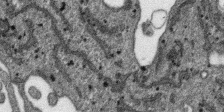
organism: Human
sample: Lung epithelial cells infected with SARS-CoV-2